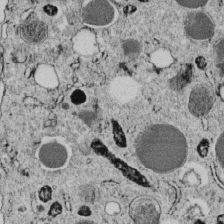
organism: C. elegans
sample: C. elegans embryo early stage